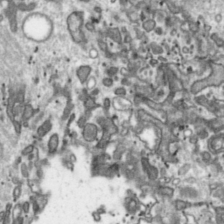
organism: Toxoplasma gondii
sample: Parasites in a vacuole inside a host cell